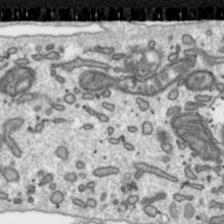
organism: Toxoplasma gondii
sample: Parasites in a vacuole inside a host cell